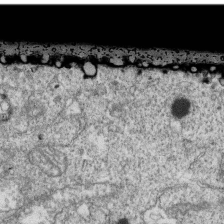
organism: Human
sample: HeLa cell HIV synapse